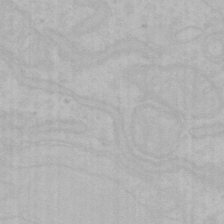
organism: Mouse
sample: Choroid plexus